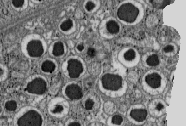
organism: C57BL Mouse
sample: Pancreatic islet